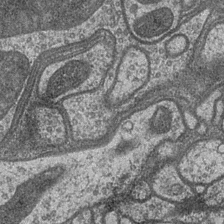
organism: Drosophila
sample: Optic medulla